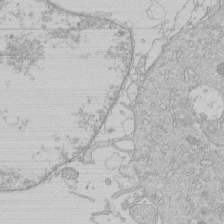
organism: Human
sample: Macrophage cells